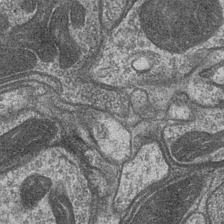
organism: Drosophila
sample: Optic medulla